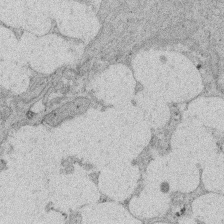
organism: Rat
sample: Salivary granule